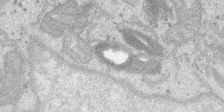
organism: Human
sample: Lung epithelial cells infected with SARS-CoV-2